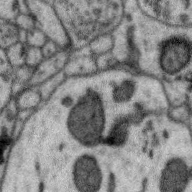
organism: Zebra finch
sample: Brain